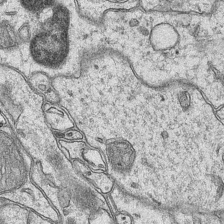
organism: Mouse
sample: CA1 Hippocampus